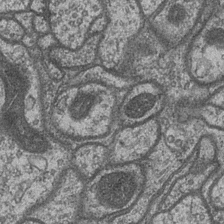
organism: Drosophila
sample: Optic medulla